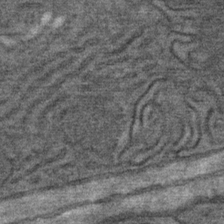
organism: Mouse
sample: Mouse Salivary gland